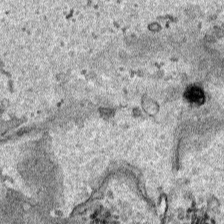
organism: Human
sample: Mitochondria in HCT116 cells